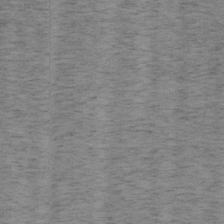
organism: Mouse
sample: OT-I killer T cells with ID8 ovarian cancer cells